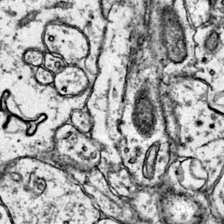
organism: Mouse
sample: Primary visual cortex